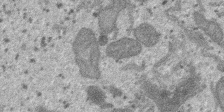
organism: Human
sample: Lung epithelial cells infected with SARS-CoV-2